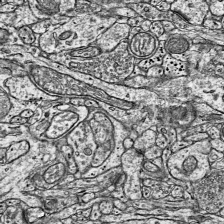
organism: Mouse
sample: Visual Cortex